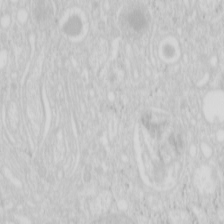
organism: Mouse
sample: Pancreas